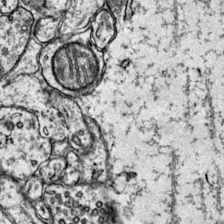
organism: Mouse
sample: Primary visual cortex